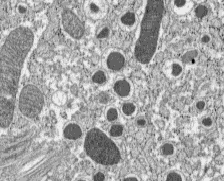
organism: C57BL Mouse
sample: Pancreatic islet